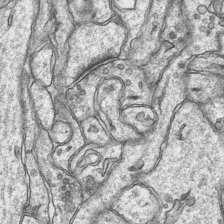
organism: Mouse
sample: CA1 Hippocampus